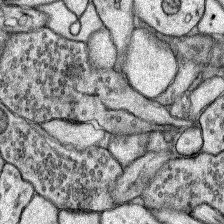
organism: Rat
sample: Hippocampus